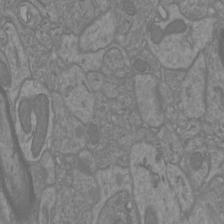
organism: Mouse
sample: Cortical neurons